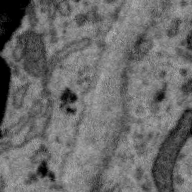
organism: Zebra finch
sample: Brain